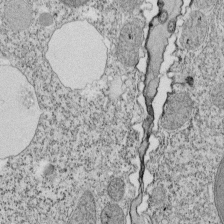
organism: Tetrahymena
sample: Cilia in tetrahymena